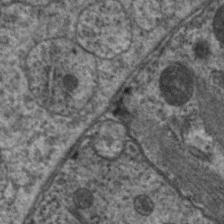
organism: C. elegans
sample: Pharynx